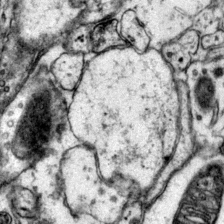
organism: Mouse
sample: Primary visual cortex